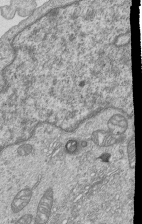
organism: Human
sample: MDA-MB-231 cells